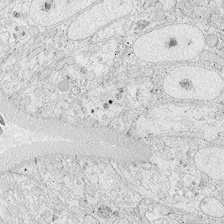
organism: Zebrafish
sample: Whole-Brain